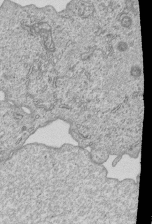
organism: Human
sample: MDA-MB-231 cells